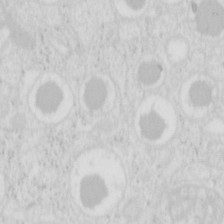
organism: Mouse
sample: Pancreas